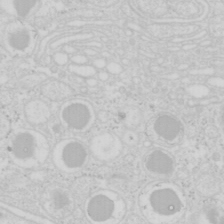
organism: Mouse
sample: Pancreas